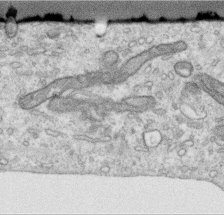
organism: Human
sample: Centriole in RPE cells